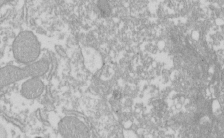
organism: Xenopus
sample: Cilia; centrioles in frog embryo cells